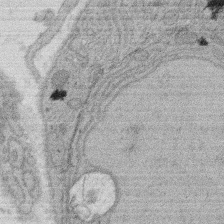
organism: Rat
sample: Salivary granule